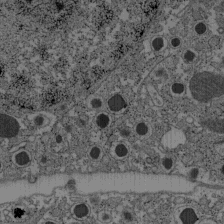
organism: C57BL Mouse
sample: Pancreatic islet